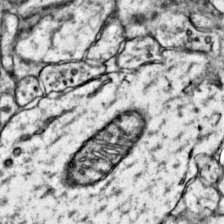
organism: Mouse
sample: Primary visual cortex